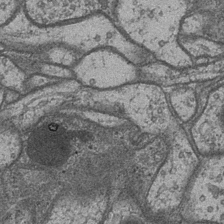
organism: Drosophila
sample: Optic medulla